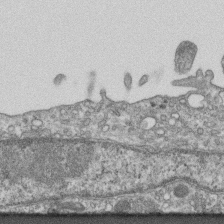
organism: Mouse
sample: Centriole in ependymal cells